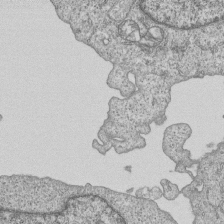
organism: Human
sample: MDA-MB-231 cells